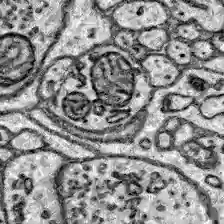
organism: Zebrafish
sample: Brain